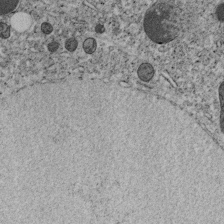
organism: C. elegans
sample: C. elegans embryo early stage